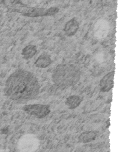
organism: C. elegans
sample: C. elegans embryo early stage